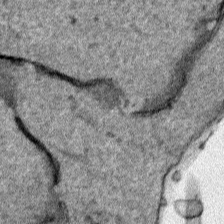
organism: Human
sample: Mitochondria in HCT116 cells